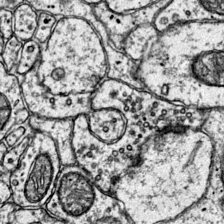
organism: Mouse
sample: Primary visual cortex